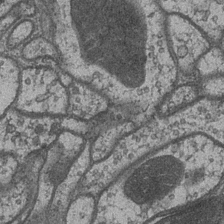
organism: Drosophila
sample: Optic medulla